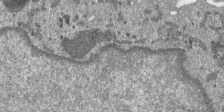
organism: Human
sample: Lung epithelial cells infected with SARS-CoV-2